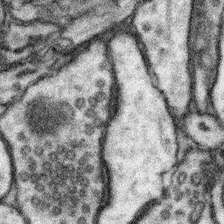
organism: Mouse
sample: Somatosensory cortex neuropil